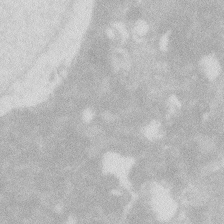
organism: Zebrafish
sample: Macrophage